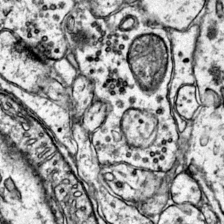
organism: Mouse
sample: Primary visual cortex